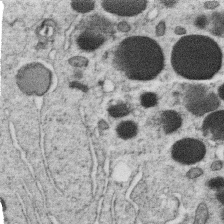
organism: C. elegans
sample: C. elegans oocyte; sperm cells